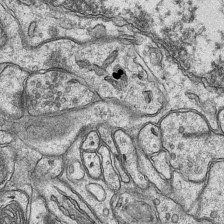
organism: Mouse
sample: CA1 Hippocampus